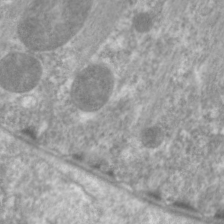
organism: C. elegans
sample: Pharynx